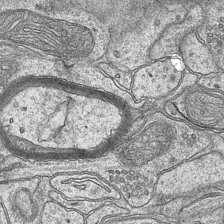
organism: Mouse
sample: CA1 Hippocampus